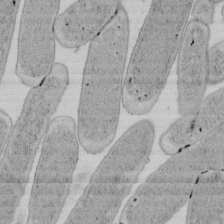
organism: E. coli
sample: Bacterial nucleoid